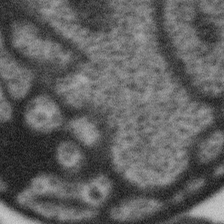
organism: Gemmata obscuriglobus